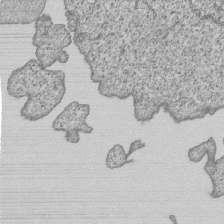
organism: Human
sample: MDA-MB-231 cells